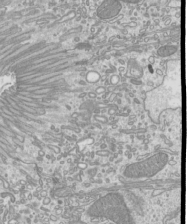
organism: Mouse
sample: Cilia; mouse epididymis